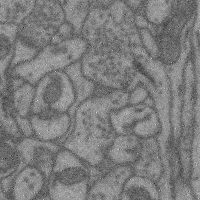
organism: Mouse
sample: Cerebral cortex